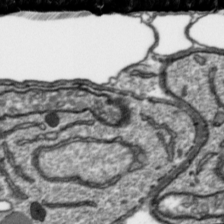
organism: Toxoplasma gondii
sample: Parasites in a vacuole inside a host cell